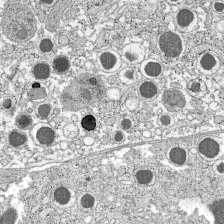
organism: C57BL Mouse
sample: Pancreatic islet